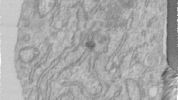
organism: Human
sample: Centriole in RPE cells